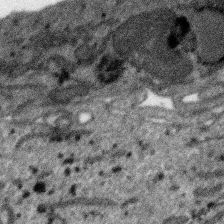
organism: Human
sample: Lung epithelial cells infected with SARS-CoV-2